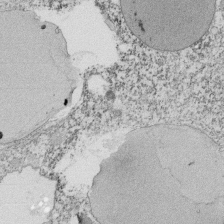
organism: Tetrahymena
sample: Cilia in tetrahymena